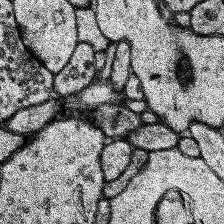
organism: Human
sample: Temporal Lobe